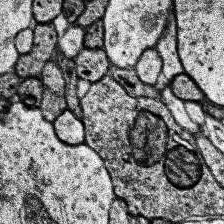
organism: Human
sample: Temporal Lobe